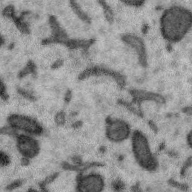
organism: Zebra finch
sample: Brain